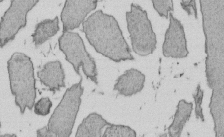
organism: E. coli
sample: Bacterial nucleoid